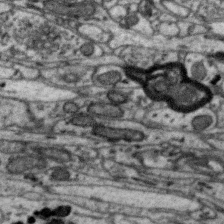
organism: Zebra finch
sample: Brain